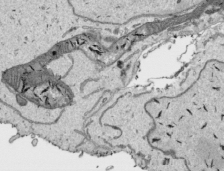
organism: Human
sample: Mitochondria in HCT116 cells